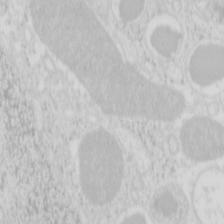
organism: Mouse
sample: Pancreas